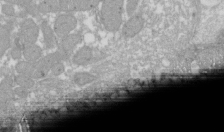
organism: Xenopus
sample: Cilia; centrioles in frog embryo cells